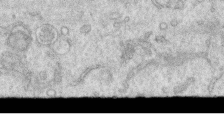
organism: Human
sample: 1205lu cells